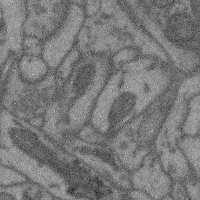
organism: Mouse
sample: Cerebral cortex